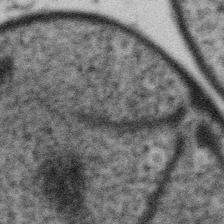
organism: Gemmata obscuriglobus